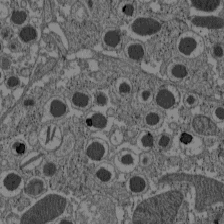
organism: C57BL Mouse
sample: Pancreatic islet